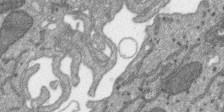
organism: Human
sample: Lung epithelial cells infected with SARS-CoV-2